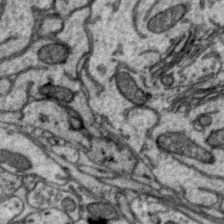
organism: Zebra finch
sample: Brain